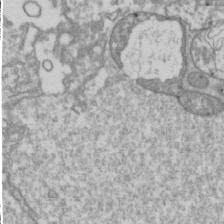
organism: Drosophila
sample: Cell division; meiosis; drosophila spermatocytes